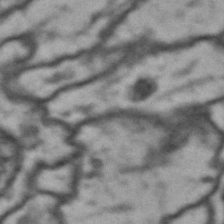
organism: Drosophila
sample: Brain